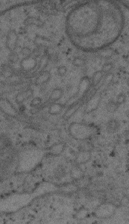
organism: Human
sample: HeLa cells